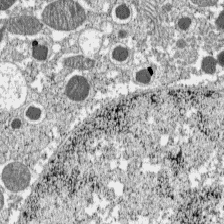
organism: C57BL Mouse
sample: Pancreatic islet